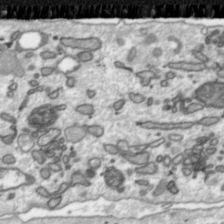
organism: Toxoplasma gondii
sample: Parasites in a vacuole inside a host cell